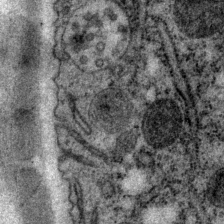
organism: P. pacificus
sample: Pharynx